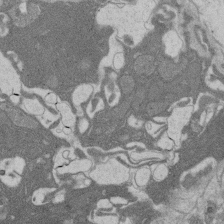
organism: Rat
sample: Salivary granule